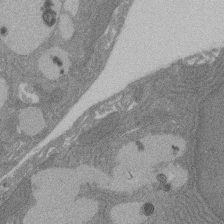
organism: Rat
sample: Salivary granule